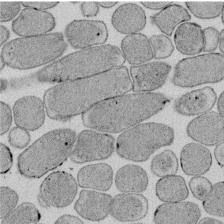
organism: E. coli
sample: Bacterial nucleoid